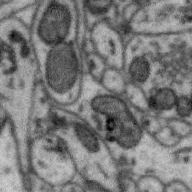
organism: Zebra finch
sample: Brain